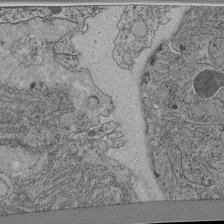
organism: C. elegans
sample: C. elegans pharynx